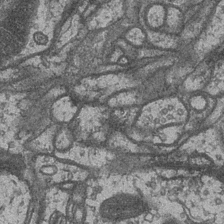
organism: Drosophila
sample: Optic medulla